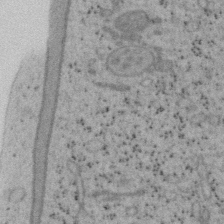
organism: Human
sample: HeLa cells